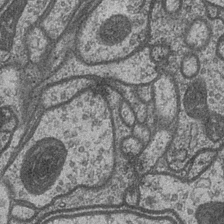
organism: Drosophila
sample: Optic medulla